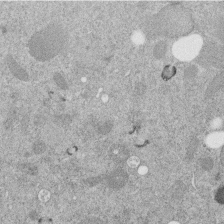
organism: C. elegans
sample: C. elegans embryo early stage